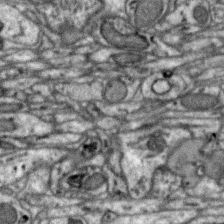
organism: Zebra finch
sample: Brain